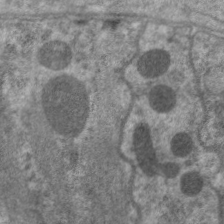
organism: C. elegans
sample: Pharynx